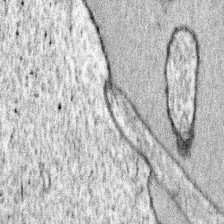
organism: Human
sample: HeLa cells